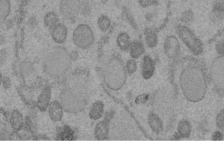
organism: C. elegans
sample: C. elegans embryo early stage